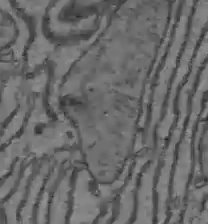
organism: C57BL Mouse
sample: Liver